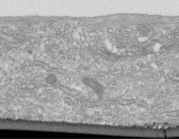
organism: Human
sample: Centriole in fibroblast cells